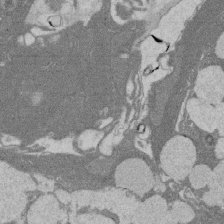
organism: Rat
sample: Salivary granule